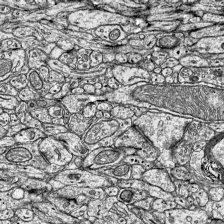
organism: Mouse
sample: Visual Cortex